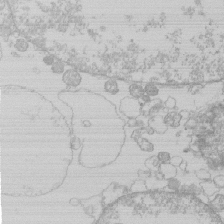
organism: Human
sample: Macrophage cells